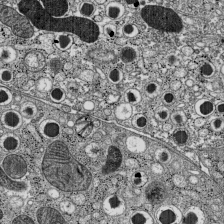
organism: C57BL Mouse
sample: Pancreatic islet